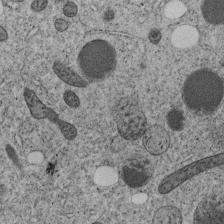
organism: C. elegans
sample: C. elegans embryo early stage